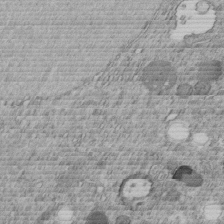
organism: C. elegans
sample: C. elegans embryo early stage